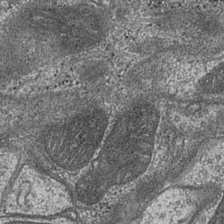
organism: Drosophila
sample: Optic medulla